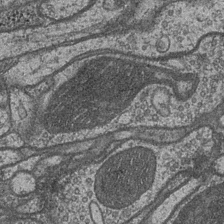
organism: Drosophila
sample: Optic medulla